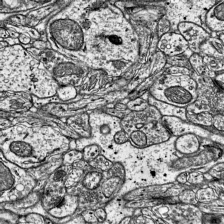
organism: Mouse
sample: Visual Cortex